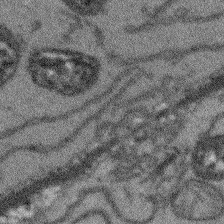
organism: Arabidopsis thaliana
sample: Root tip